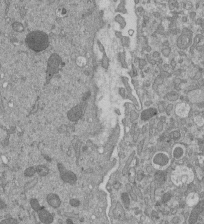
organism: Mouse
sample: ED-1 cell nuclei; centrioles